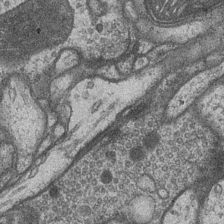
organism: Drosophila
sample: Optic medulla